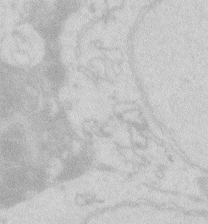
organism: Zebrafish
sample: Macrophage